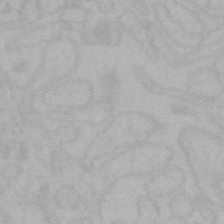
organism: Mouse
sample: Choroid plexus